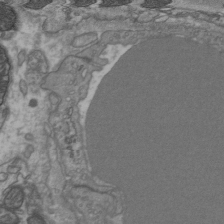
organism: C57BL Mouse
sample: Heart